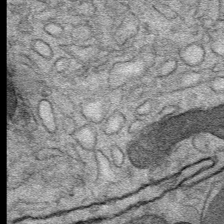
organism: Mouse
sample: Mouse Salivary gland